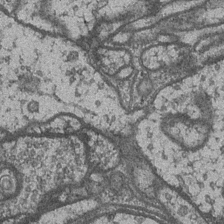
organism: Drosophila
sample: Optic medulla